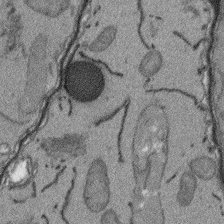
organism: Arabidopsis thaliana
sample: Root tip